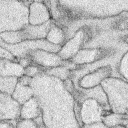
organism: Rabbit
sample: Retina